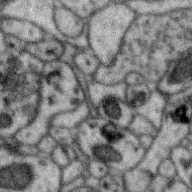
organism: Zebra finch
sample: Brain